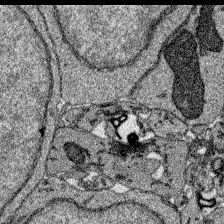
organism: Zebrafish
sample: Larval olfactory bulb